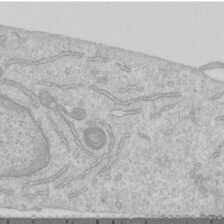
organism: Human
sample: Centriole in RPE cells